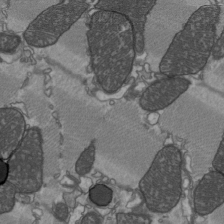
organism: C57BL Mouse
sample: Heart